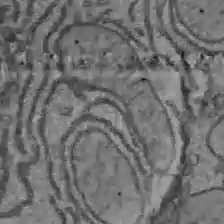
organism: C57BL Mouse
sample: Liver